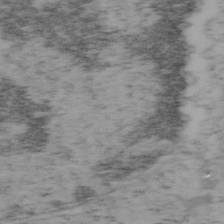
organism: Mouse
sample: OT-I killer T cells with ID8 ovarian cancer cells